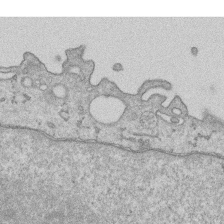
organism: Human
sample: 1205lu cells